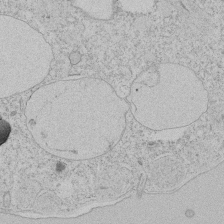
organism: Tetrahymena